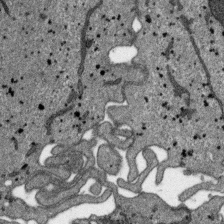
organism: Human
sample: Lung epithelial cells, uninfected (mock) control